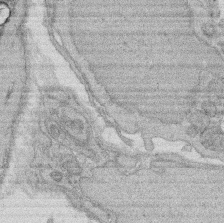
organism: Rat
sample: Salivary granule